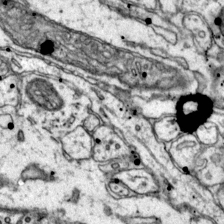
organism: Mouse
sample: Primary visual cortex